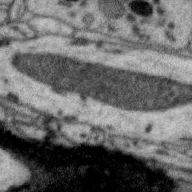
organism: Zebra finch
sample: Brain